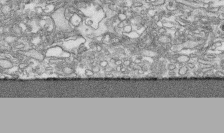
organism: Human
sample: CRL-1474